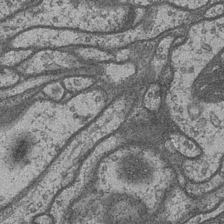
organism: Drosophila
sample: Optic medulla